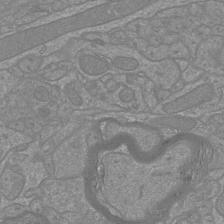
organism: Mouse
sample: Cortical neurons